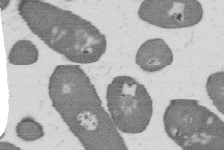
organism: B. subtilis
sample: Bacterial spore